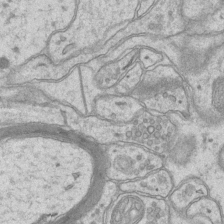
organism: Mouse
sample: CA1 Hippocampus